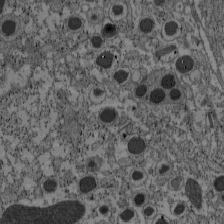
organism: C57BL Mouse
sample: Pancreatic islet